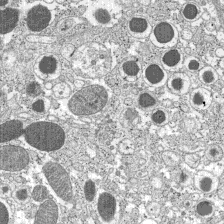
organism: C57BL Mouse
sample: Pancreatic islet